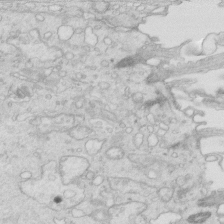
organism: Mouse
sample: Multiciliated cells